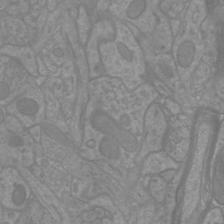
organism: Mouse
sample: Cortical neurons